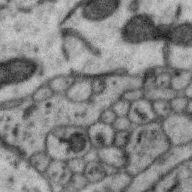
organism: Zebra finch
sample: Brain